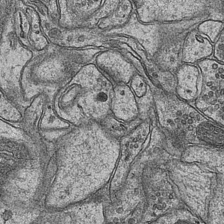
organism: Mouse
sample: CA1 Hippocampus